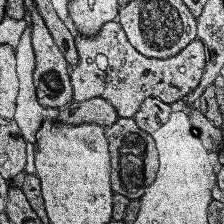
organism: Human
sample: Temporal Lobe